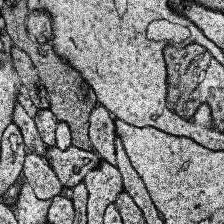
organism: Human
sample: Temporal Lobe